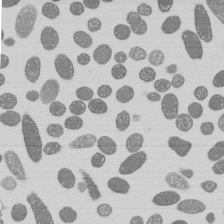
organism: E. coli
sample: Bacterial nucleoid